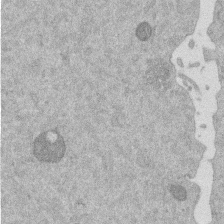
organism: Mouse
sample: Dividing mouse embryo 1 cell stage